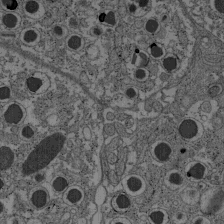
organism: C57BL Mouse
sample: Pancreatic islet